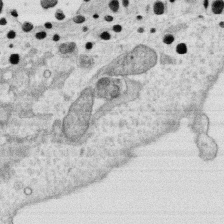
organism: Human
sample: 1205lu cells